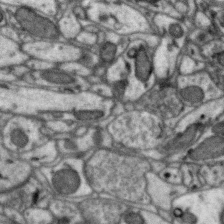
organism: Zebra finch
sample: Brain